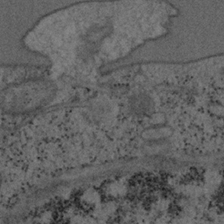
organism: Human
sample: HeLa cells